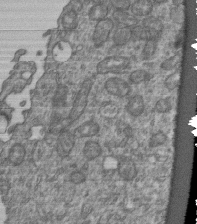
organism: Human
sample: Retinal organoid Rod and Cone cells